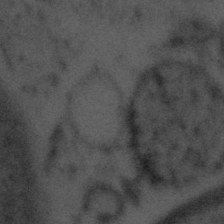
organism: Tuwongella immobilis